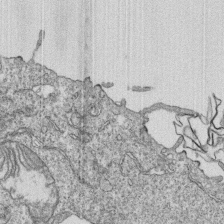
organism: Human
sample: HeLa cell HIV synapse